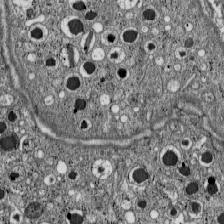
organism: C57BL Mouse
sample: Pancreatic islet